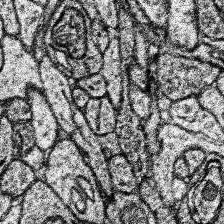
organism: Human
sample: Temporal Lobe